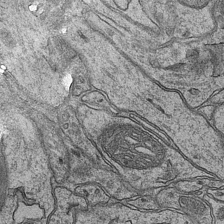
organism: Mouse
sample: CA1 Hippocampus